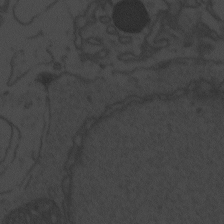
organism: Zebrafish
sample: Macrophage infected with Toxoplasma gondii